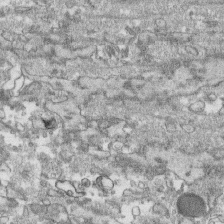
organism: Human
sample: CRL-1474